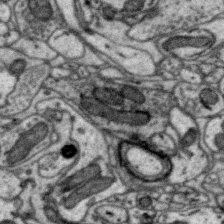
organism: Zebra finch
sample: Brain